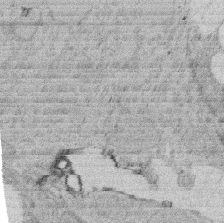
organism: Rat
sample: Salivary granule